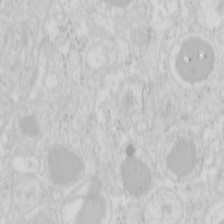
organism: Mouse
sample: Pancreas